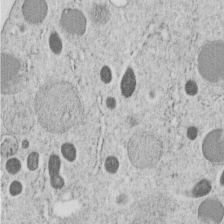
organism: C. elegans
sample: C. elegans embryo early stage